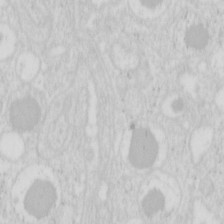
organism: Mouse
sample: Pancreas